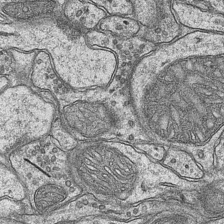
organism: Mouse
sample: CA1 Hippocampus